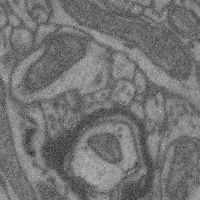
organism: Mouse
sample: Cerebral cortex